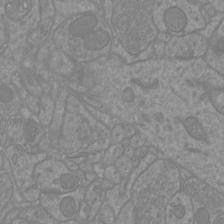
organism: Mouse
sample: Cortical neurons